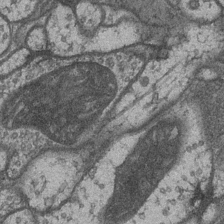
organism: Drosophila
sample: Optic medulla